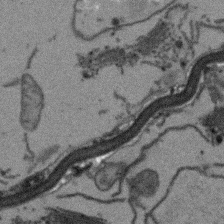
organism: Arabidopsis thaliana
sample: Root tip